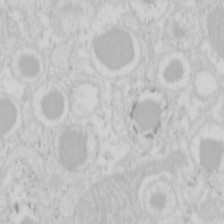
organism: Mouse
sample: Pancreas